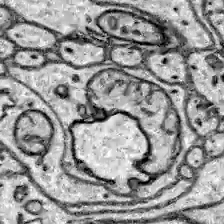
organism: Zebrafish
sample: Brain